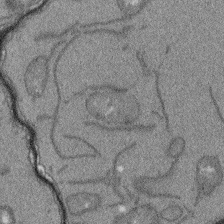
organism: Arabidopsis thaliana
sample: Root tip